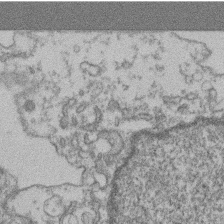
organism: Mouse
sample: T cell stromal cell synapse